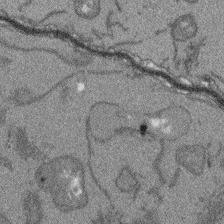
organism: Arabidopsis thaliana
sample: Root tip